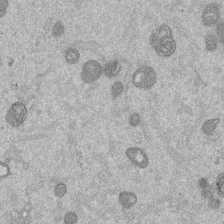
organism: Mouse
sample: Dividing mouse embryo 1 cell stage